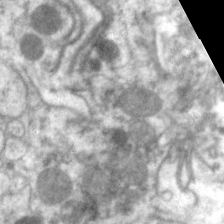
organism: C. elegans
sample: Pharynx